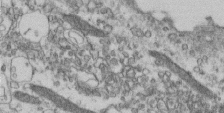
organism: Human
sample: Centriole in fibroblast cells